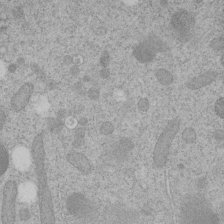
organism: C. elegans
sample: C. elegans embryo early stage